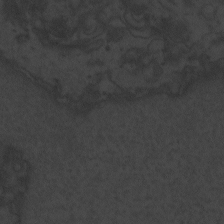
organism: Zebrafish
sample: Macrophage infected with Toxoplasma gondii